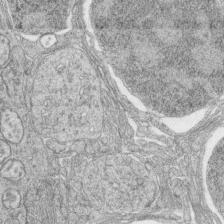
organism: Zebrafish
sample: synaptic ribbons in rod cells and cone cells